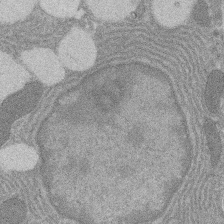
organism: Rat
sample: Salivary granule